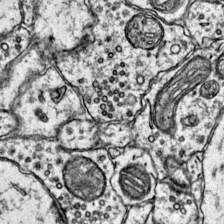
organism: Mouse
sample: Primary visual cortex